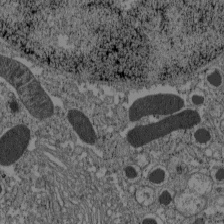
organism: C57BL Mouse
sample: Pancreatic islet